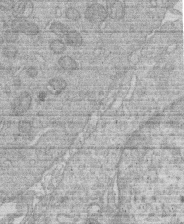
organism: Human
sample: Macrophage cells